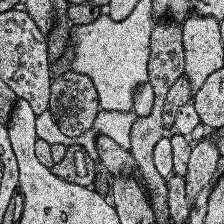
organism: Human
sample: Temporal Lobe